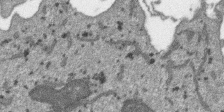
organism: Human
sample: Lung epithelial cells infected with SARS-CoV-2